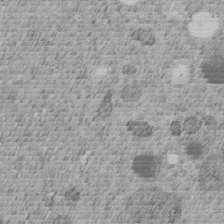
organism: C. elegans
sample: C. elegans embryo early stage